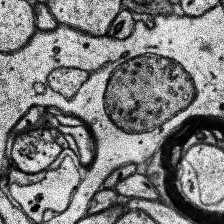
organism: Human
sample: Temporal Lobe